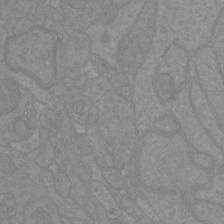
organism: Mouse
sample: Cortical neurons